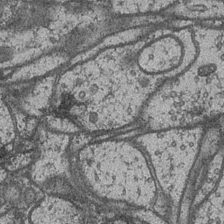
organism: Drosophila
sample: Optic medulla